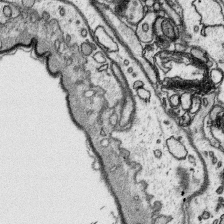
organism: Platynereis dumerilii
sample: Parapodia